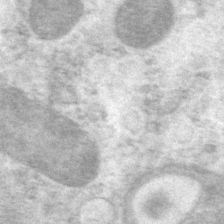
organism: P. pacificus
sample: Pharynx